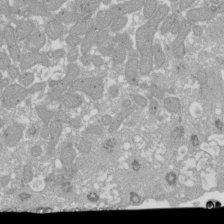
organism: Xenopus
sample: Cilia; centrioles in frog embryo cells